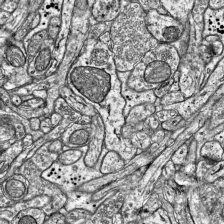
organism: Mouse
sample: Visual Cortex